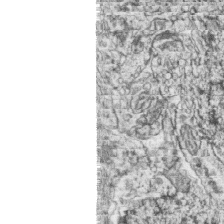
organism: Zebrafish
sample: synaptic ribbons in rod cells and cone cells